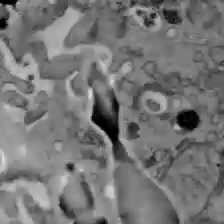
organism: C57BL Mouse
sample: Liver